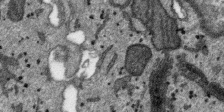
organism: Human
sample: Lung epithelial cells, uninfected (mock) control